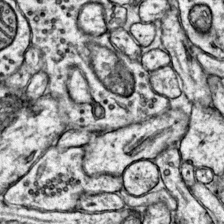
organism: Mouse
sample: Primary visual cortex